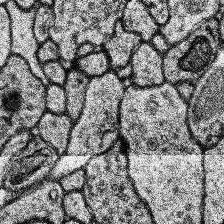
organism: Human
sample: Temporal Lobe